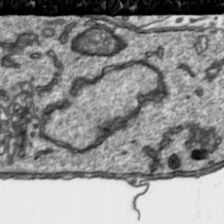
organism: Toxoplasma gondii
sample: Parasites in a vacuole inside a host cell